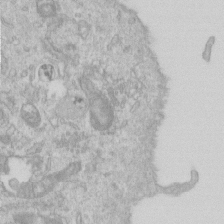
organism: Human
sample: Centriole in RPE cells